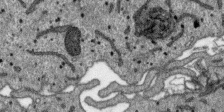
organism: Human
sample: Lung epithelial cells, uninfected (mock) control